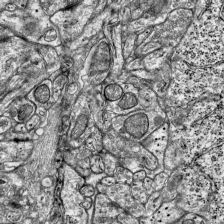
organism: Mouse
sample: Visual Cortex